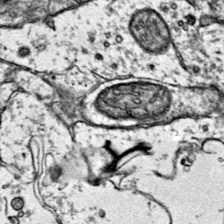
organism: Mouse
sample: Primary visual cortex